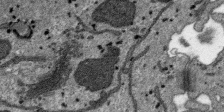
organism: Human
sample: Lung epithelial cells, uninfected (mock) control